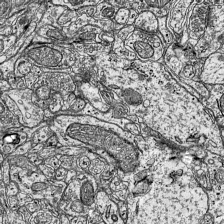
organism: Mouse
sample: Visual Cortex